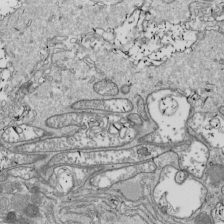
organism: Drosophila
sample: Cell division; meiosis; drosophila spermatocytes